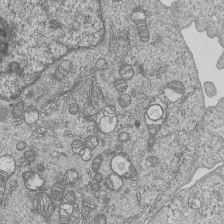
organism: Human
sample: MDA-MB-231 cells